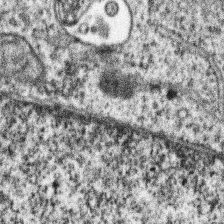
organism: Human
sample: HeLa cells